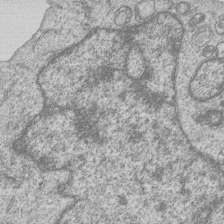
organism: Human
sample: MDA-MB-231 cells